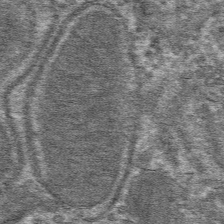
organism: Mouse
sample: Mouse hepatocytes